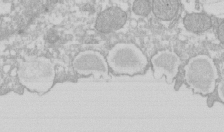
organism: Xenopus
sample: Cilia; centrioles in frog embryo cells